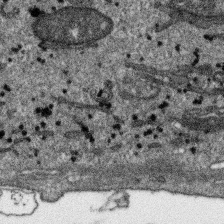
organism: Human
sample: Lung epithelial cells infected with SARS-CoV-2